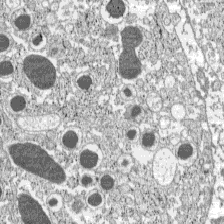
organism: C57BL Mouse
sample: Pancreatic islet